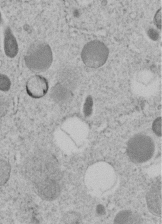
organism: C. elegans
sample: C. elegans embryo early stage